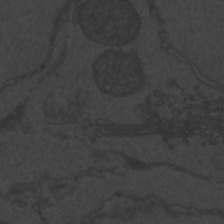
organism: Zebrafish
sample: Macrophage infected with Toxoplasma gondii